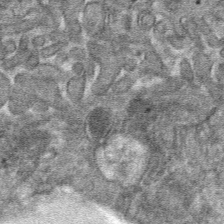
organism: Mouse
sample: Mouse hepatocytes